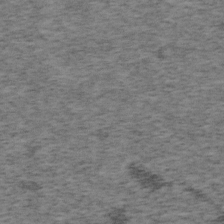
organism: Mouse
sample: OT-I killer T cells with ID8 ovarian cancer cells